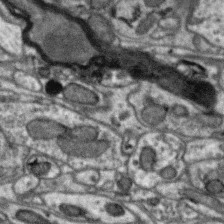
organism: Zebra finch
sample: Brain